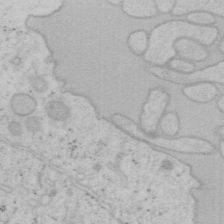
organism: Human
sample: HeLa cells